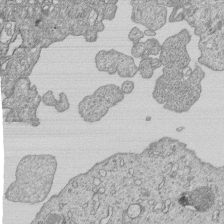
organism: Human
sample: MDA-MB-231 cells